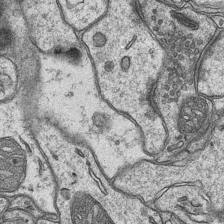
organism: Mouse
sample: CA1 Hippocampus